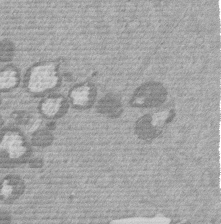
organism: Mouse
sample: Dividing mouse embryo 1 cell stage